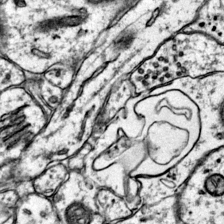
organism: Mouse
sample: Primary visual cortex